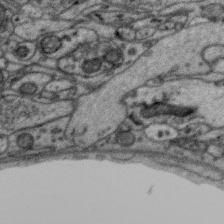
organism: Zebra finch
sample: Brain